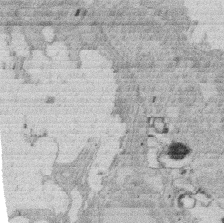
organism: Rat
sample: Salivary granule